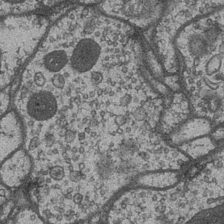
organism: Drosophila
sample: Optic medulla